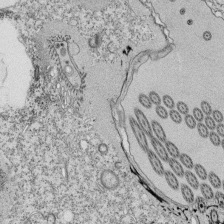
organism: Tetrahymena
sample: Cilia in tetrahymena